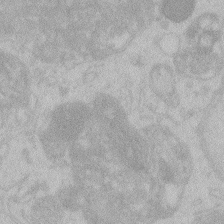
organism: Zebrafish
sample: Macrophage infected with Toxoplasma gondii